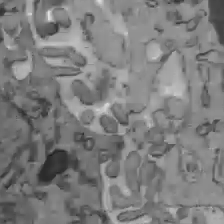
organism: C57BL Mouse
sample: Liver